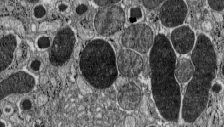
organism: C57BL Mouse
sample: Pancreatic islet